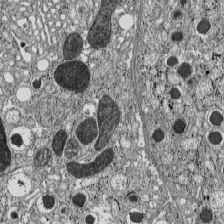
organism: C57BL Mouse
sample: Pancreatic islet